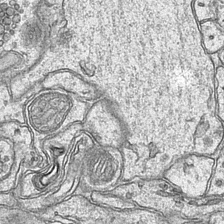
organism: Mouse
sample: CA1 Hippocampus